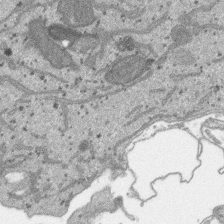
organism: Human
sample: Lung epithelial cells infected with SARS-CoV-2